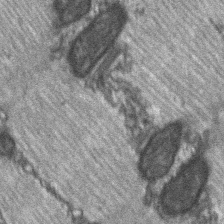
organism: C57BL Mouse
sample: Soleus